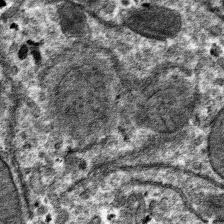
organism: Mouse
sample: Mouse hepatocytes